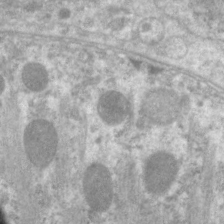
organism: C. elegans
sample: Pharynx